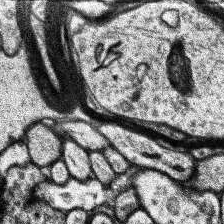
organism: Human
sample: Temporal Lobe